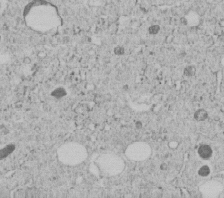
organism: C. elegans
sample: C. elegans embryo early stage